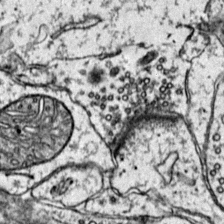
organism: Mouse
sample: Primary visual cortex